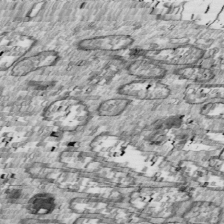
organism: Drosophila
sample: Cell division; meiosis; drosophila spermatocytes